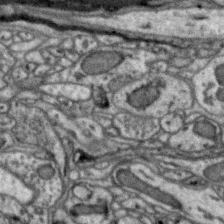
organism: Zebra finch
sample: Brain